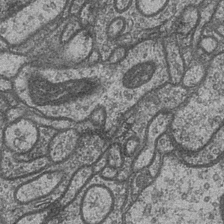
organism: Drosophila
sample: Optic medulla